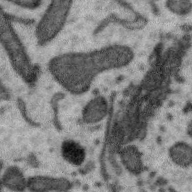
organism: Zebra finch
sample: Brain